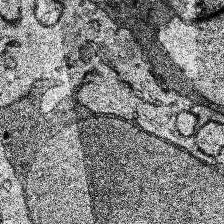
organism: Human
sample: Temporal Lobe